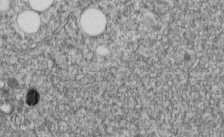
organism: C. elegans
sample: C. elegans embryo early stage